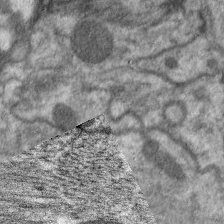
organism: C. elegans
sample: Pharynx